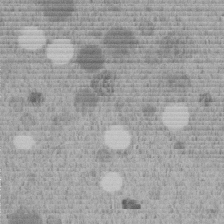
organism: C. elegans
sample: C. elegans embryo early stage